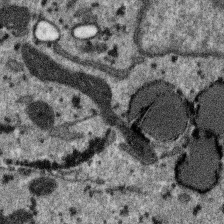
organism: Human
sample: Lung epithelial cells infected with SARS-CoV-2